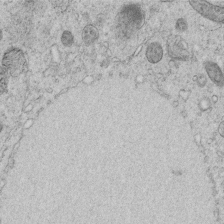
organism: C. elegans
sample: C. elegans embryo early stage